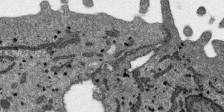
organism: Human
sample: Lung epithelial cells, uninfected (mock) control